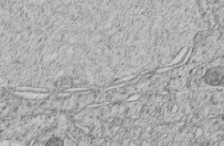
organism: C. elegans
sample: C. elegans embryo early stage